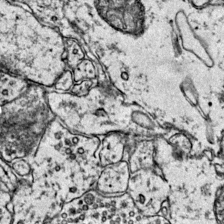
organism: Mouse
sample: Primary visual cortex